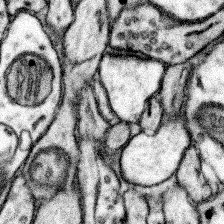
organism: Mouse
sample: Somatosensory cortex neuropil